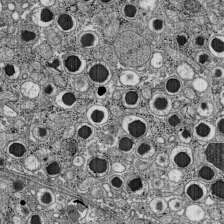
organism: C57BL Mouse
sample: Pancreatic islet